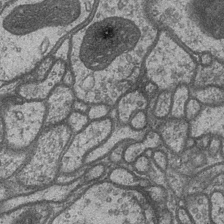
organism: Drosophila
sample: Optic medulla